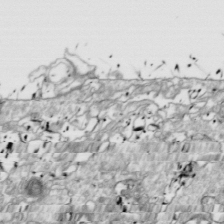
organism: Drosophila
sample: Cell division; meiosis; drosophila spermatocytes